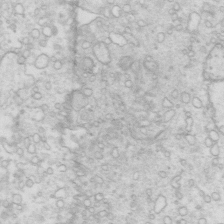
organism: Mouse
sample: Multiciliated cells